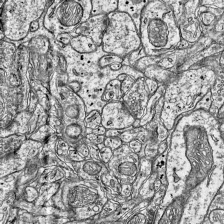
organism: Mouse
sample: Visual Cortex